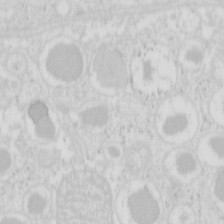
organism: Mouse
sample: Pancreas